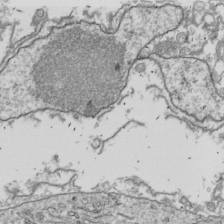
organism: Drosophila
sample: Cell division; meiosis; drosophila spermatocytes